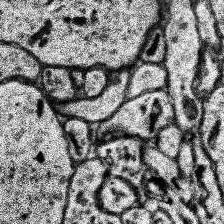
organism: Human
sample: Temporal Lobe